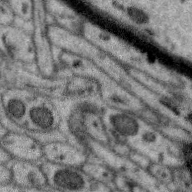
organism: Zebra finch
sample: Brain